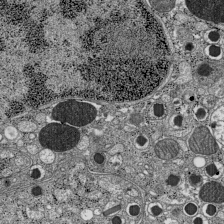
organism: C57BL Mouse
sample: Pancreatic islet